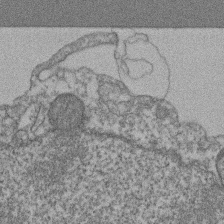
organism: Mouse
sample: T cell stromal cell synapse